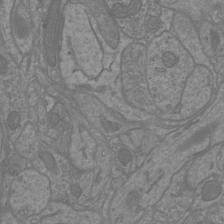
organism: Mouse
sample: Cortical neurons